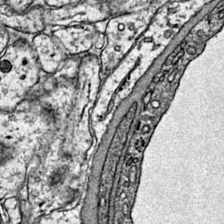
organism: Mouse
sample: Primary visual cortex